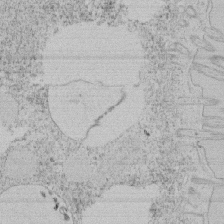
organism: Tetrahymena